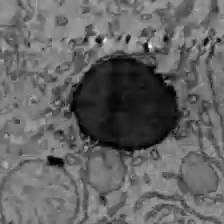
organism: C57BL Mouse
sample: Liver